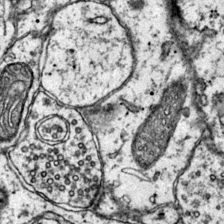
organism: Mouse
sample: Primary visual cortex